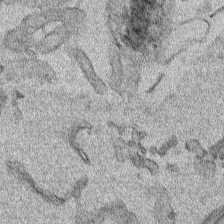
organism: Human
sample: Mitochondria in HCT116 cells